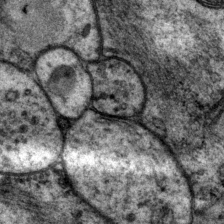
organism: P. pacificus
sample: Pharynx